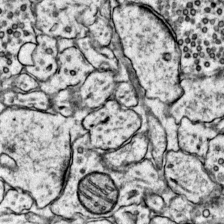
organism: Mouse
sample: Primary visual cortex